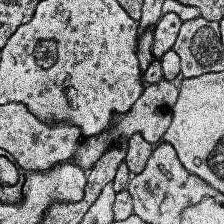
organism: Human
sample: Temporal Lobe